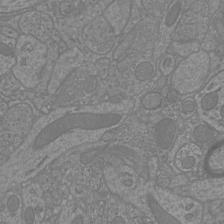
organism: Mouse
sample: Cortical neurons